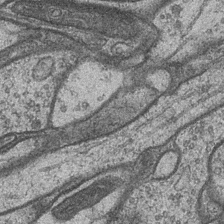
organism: Drosophila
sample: Optic medulla